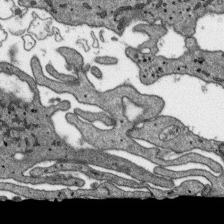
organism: Human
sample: Lung epithelial cells, uninfected (mock) control